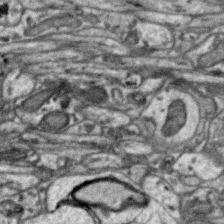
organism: Zebra finch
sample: Brain